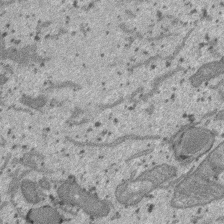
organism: Human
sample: Lung epithelial cells infected with SARS-CoV-2